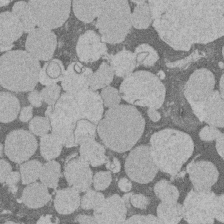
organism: Rat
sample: Salivary granule